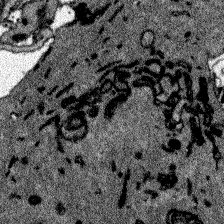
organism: Zebrafish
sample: Larval olfactory bulb